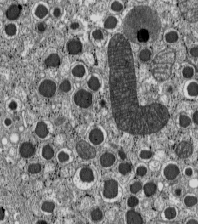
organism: C57BL Mouse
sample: Pancreatic islet